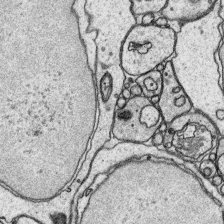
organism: Platynereis dumerilii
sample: Parapodia